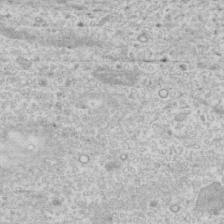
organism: Human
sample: CRL-1474